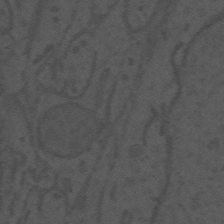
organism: Mouse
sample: Suprachiasmatic nucleus